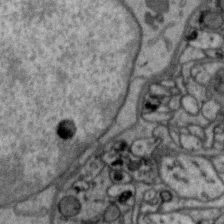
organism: Zebra finch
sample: Brain